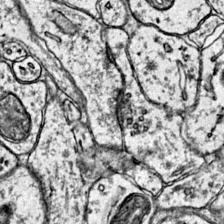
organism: Mouse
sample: Primary visual cortex